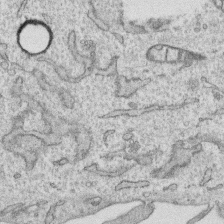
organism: Human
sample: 1205lu cells